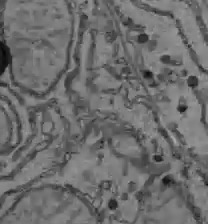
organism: C57BL Mouse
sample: Liver